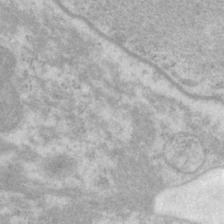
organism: P. pacificus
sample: Pharynx